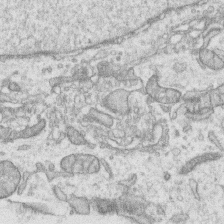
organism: Human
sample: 1205lu cells